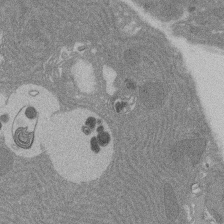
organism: Rat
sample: Salivary granule